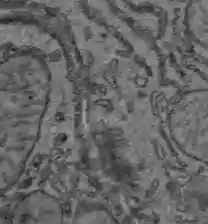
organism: C57BL Mouse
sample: Liver